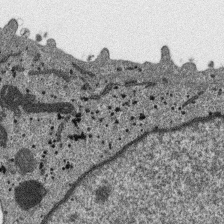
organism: Human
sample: Lung epithelial cells infected with SARS-CoV-2